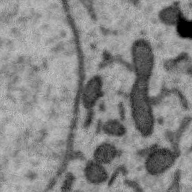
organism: Zebra finch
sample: Brain